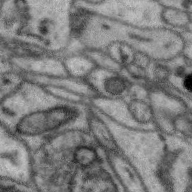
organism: Zebra finch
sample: Brain